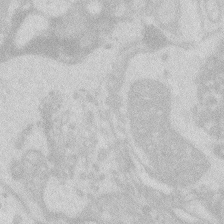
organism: Zebrafish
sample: Macrophage